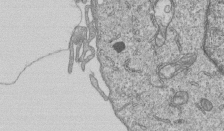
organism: Human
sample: MDA-MB-231 cells